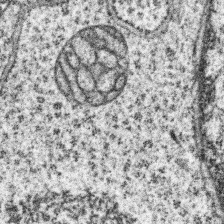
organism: Human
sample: HeLa cells